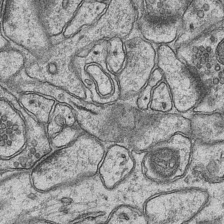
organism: Mouse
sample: CA1 Hippocampus